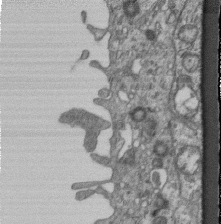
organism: Mouse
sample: Centriole in ependymal cells